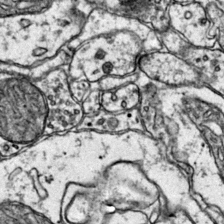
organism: Mouse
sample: Primary visual cortex